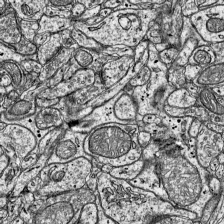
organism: Mouse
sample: Visual Cortex